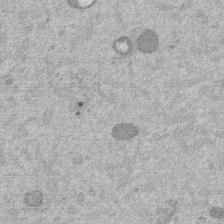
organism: Mouse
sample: Dividing mouse embryo 1 cell stage